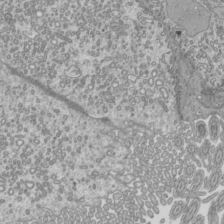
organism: Mouse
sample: Cilia; mouse epididymis